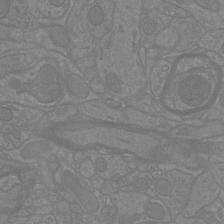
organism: Mouse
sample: Cortical neurons